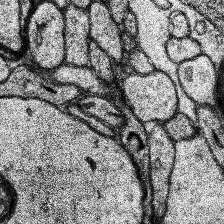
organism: Human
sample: Temporal Lobe